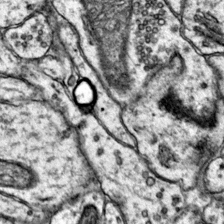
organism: Mouse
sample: Primary visual cortex